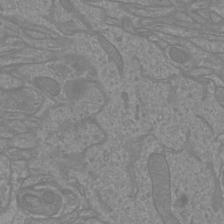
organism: Mouse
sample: Cortical neurons